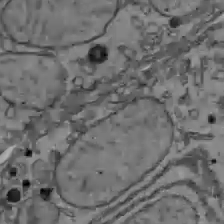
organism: C57BL Mouse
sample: Liver